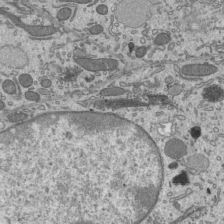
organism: Mouse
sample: Mouse epididymis efferent ductule cilia